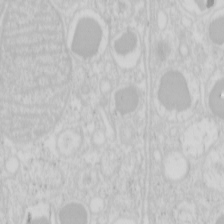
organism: Mouse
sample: Pancreas